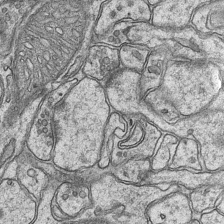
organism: Mouse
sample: CA1 Hippocampus